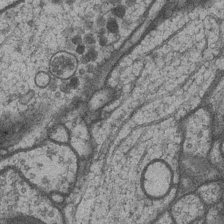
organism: Drosophila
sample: Optic medulla